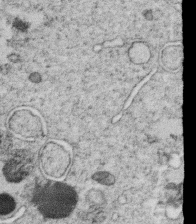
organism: C. elegans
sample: C. elegans oocyte; sperm cells